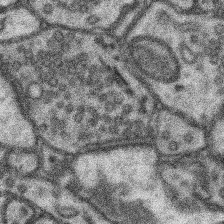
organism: Mouse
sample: Somatosensory cortex neuropil